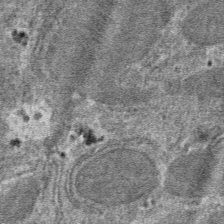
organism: Mouse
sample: Mouse hepatocytes